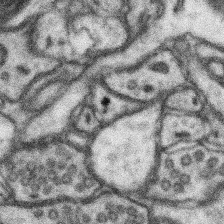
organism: Mouse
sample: Somatosensory cortex neuropil